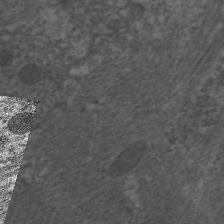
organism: C. elegans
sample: Pharynx